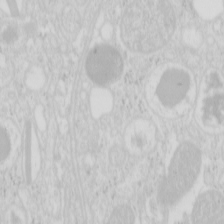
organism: Mouse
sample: Pancreas